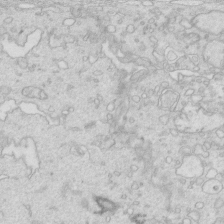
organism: Mouse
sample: Multiciliated cells